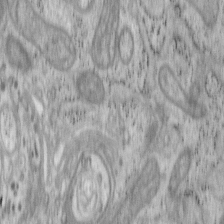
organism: Human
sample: HeLa cells